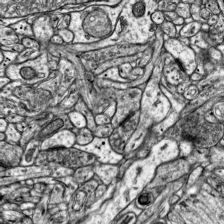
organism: Mouse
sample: Visual Cortex